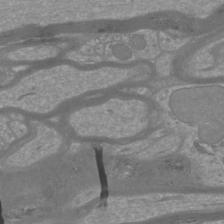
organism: Mouse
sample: Cortical neurons